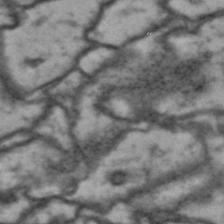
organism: Drosophila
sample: Brain